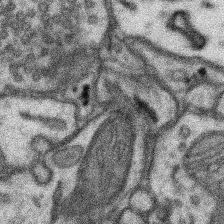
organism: Mouse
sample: Somatosensory cortex neuropil